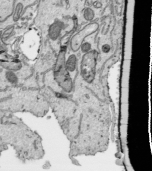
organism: Human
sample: Mitochondria in HCT116 cells